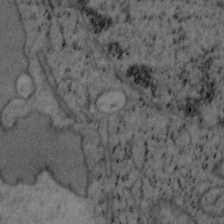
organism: Human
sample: HeLa cells